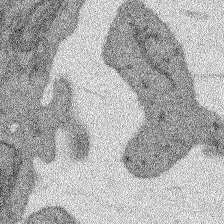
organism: Human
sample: HeLa cells